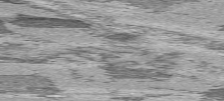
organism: C57BL Mouse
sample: Heart